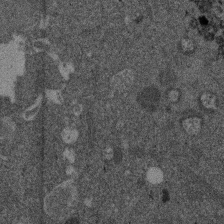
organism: Mouse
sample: Dividing mouse embryo 1 cell stage